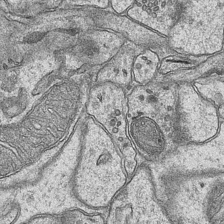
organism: Mouse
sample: CA1 Hippocampus